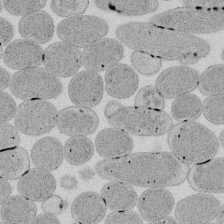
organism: E. coli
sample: Bacterial nucleoid